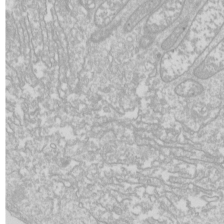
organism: Drosophila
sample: Cell division; meiosis; drosophila spermatocytes